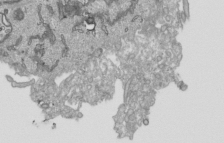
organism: Human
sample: Mitochondria in HCT116 cells